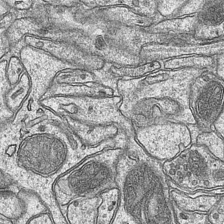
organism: Mouse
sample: CA1 Hippocampus